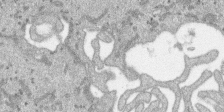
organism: Human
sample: Lung epithelial cells infected with SARS-CoV-2